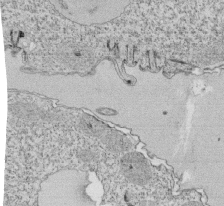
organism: Tetrahymena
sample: Cilia in tetrahymena